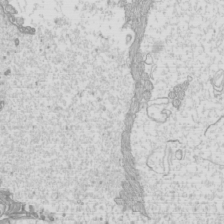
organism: Mouse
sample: Cilia; mouse epididymis